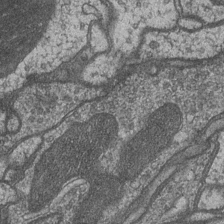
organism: Drosophila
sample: Optic medulla